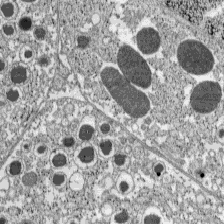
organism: C57BL Mouse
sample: Pancreatic islet